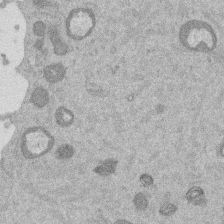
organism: Mouse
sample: Dividing mouse embryo 1 cell stage